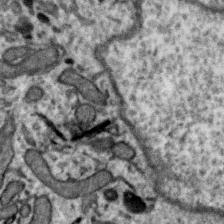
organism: Zebra finch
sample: Brain